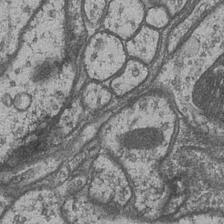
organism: Drosophila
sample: Optic medulla